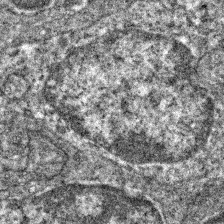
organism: Zebrafish